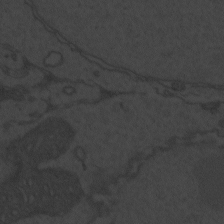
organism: Zebrafish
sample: Macrophage infected with Toxoplasma gondii